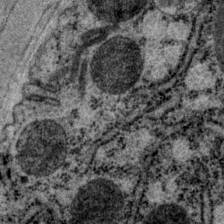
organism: P. pacificus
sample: Pharynx